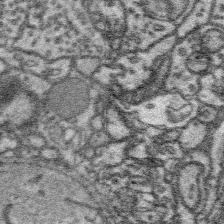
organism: Platynereis dumerilii